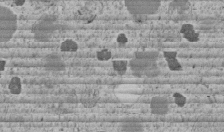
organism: C. elegans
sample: C. elegans embryo early stage